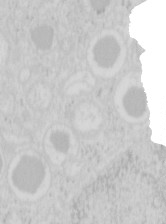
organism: Mouse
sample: Pancreas